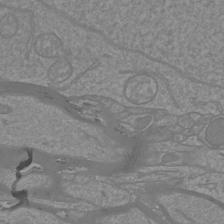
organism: Mouse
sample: Cortical neurons